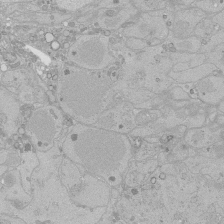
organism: Human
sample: Caco-2 cells